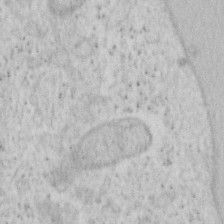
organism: Human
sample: HeLa cells